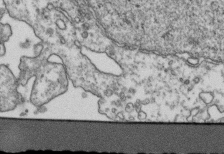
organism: Human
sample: Activated Jurkat CD4+ T cells